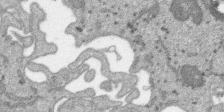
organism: Human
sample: Lung epithelial cells infected with SARS-CoV-2